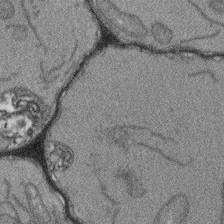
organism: Arabidopsis thaliana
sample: Root tip